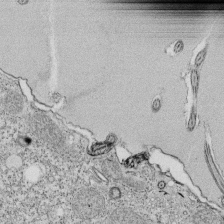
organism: Tetrahymena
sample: Cilia in tetrahymena